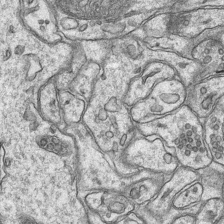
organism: Mouse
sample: CA1 Hippocampus